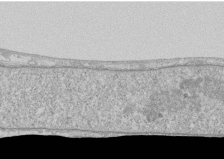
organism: Human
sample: CRL-1474